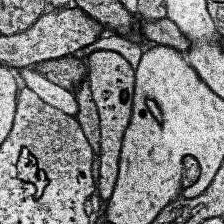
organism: Human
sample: Temporal Lobe